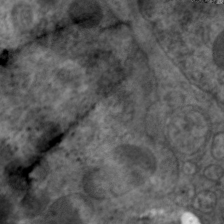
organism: C. elegans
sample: Pharynx